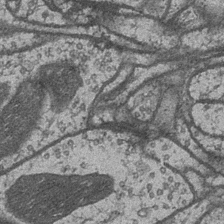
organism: Drosophila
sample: Optic medulla